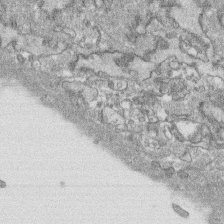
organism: Human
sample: CRL-1474